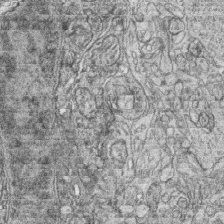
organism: Zebrafish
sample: synaptic ribbons in rod cells and cone cells